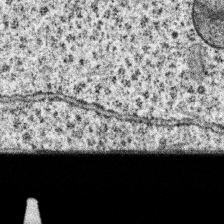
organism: Human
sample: HeLa cells